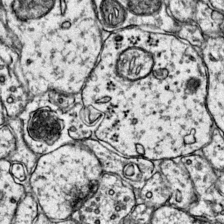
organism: Mouse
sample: Primary visual cortex